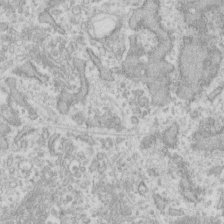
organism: Human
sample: Fibroblast cells